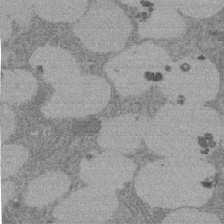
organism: Rat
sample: Salivary granule